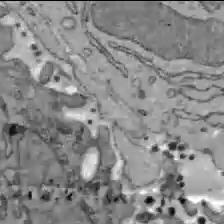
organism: C57BL Mouse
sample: Liver